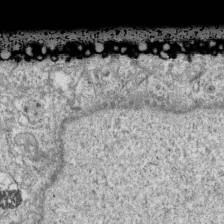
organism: Human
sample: HeLa cell HIV synapse